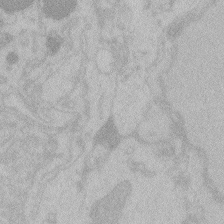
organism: Zebrafish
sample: Macrophage infected with Toxoplasma gondii